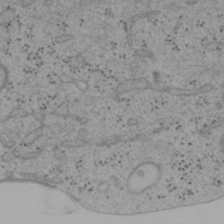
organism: Human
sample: HeLa cells